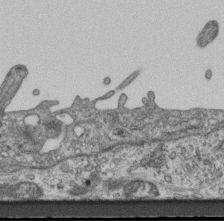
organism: Mouse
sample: Centriole in ependymal cells